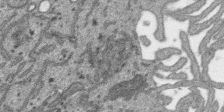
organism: Human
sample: Lung epithelial cells infected with SARS-CoV-2